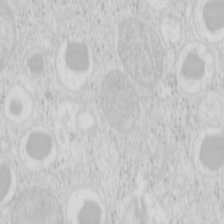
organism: Mouse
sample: Pancreas